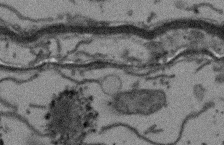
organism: Arabidopsis thaliana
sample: Root tip